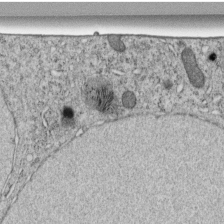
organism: C. elegans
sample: C. elegans embryo early stage